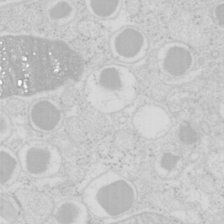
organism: Mouse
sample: Pancreas